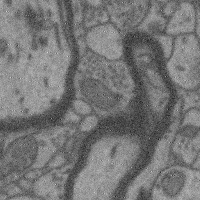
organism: Mouse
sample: Cerebral cortex